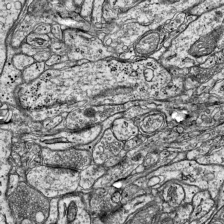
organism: Mouse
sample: Visual Cortex